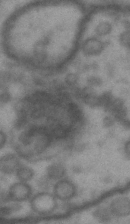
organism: Drosophila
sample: Brain